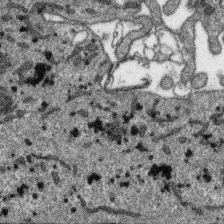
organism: Human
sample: Lung epithelial cells infected with SARS-CoV-2